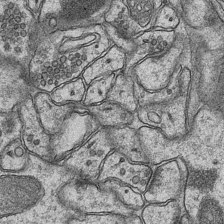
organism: Mouse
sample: CA1 Hippocampus